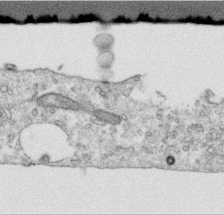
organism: Human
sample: Centriole in RPE cells